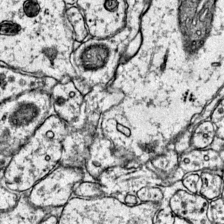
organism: Mouse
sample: Primary visual cortex